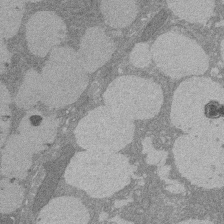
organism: Rat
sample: Salivary granule